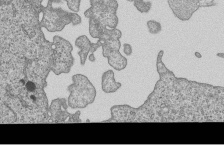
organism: Human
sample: MDA-MB-231 cells